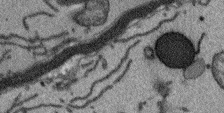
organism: Arabidopsis thaliana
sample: Root tip